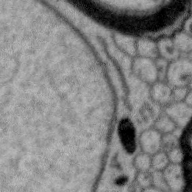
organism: Zebra finch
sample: Brain